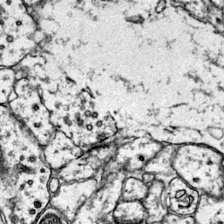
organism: Mouse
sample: Primary visual cortex